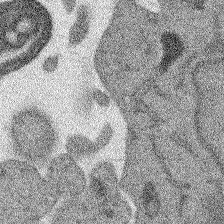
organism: Human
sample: HeLa cells